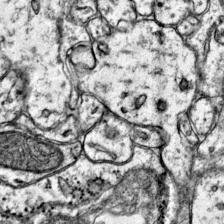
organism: Mouse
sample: Primary visual cortex